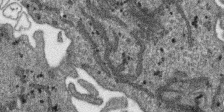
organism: Human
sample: Lung epithelial cells infected with SARS-CoV-2